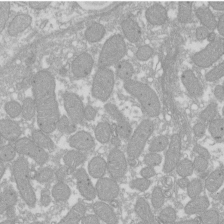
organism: Xenopus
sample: Cilia; centrioles in frog embryo cells